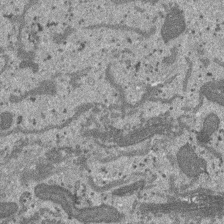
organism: Human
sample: Lung epithelial cells infected with SARS-CoV-2